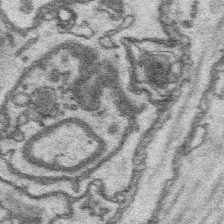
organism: Platynereis dumerilii